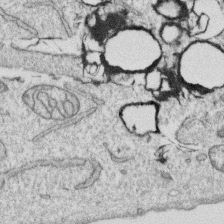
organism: Human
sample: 1205lu cells